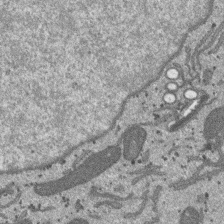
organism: Human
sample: Lung epithelial cells infected with SARS-CoV-2